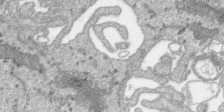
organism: Human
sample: Lung epithelial cells infected with SARS-CoV-2